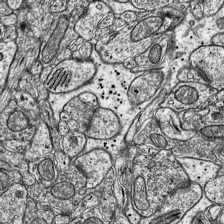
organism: Mouse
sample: Visual Cortex